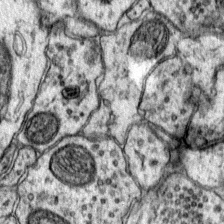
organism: Mouse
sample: Primary visual cortex